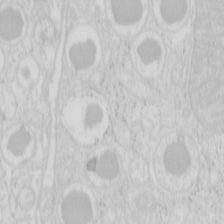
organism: Mouse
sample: Pancreas